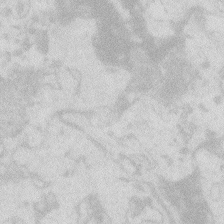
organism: Zebrafish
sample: Macrophage